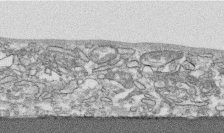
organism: Human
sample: CRL-1474